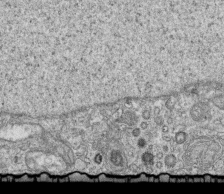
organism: Human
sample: HeLa cell HIV synapse